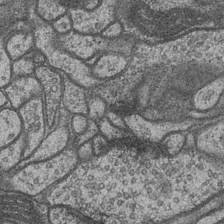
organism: Drosophila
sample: Optic medulla